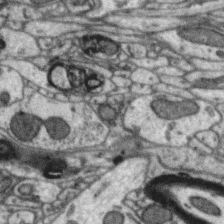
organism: Zebra finch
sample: Brain